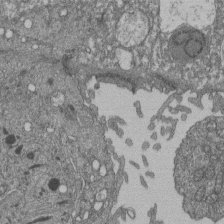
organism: Human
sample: Retinal organoid Rod and Cone cells